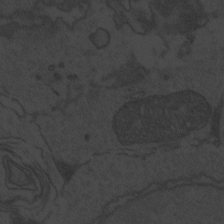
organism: Zebrafish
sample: Macrophage infected with Toxoplasma gondii